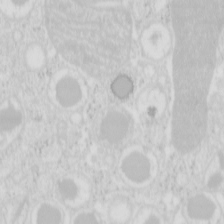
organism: Mouse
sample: Pancreas